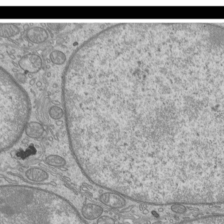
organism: Mouse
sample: Cilia; mouse epididymis